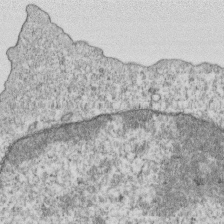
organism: Mouse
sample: Activated OT-1 CD8+ T cells